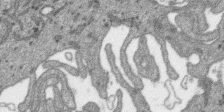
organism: Human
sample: Lung epithelial cells infected with SARS-CoV-2